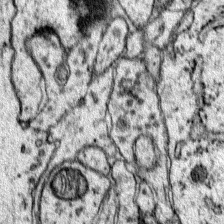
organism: Mouse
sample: Primary visual cortex